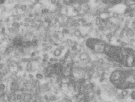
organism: Human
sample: Centriole in RPE cells